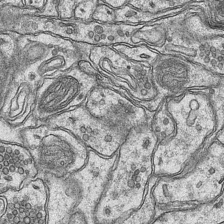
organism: Mouse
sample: CA1 Hippocampus